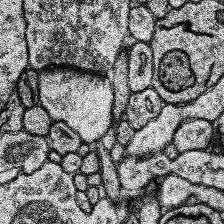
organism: Human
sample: Temporal Lobe